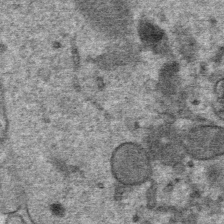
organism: Mouse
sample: Mouse Salivary gland